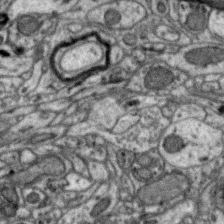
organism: Zebra finch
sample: Brain